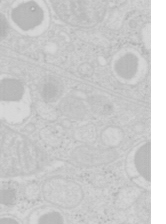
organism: Mouse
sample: Pancreas